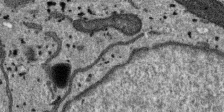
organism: Human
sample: Lung epithelial cells, uninfected (mock) control